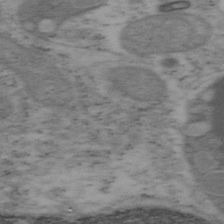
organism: Mouse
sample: OT-I killer T cells with ID8 ovarian cancer cells